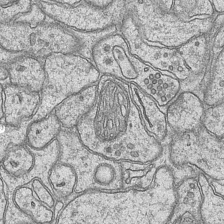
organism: Mouse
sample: CA1 Hippocampus